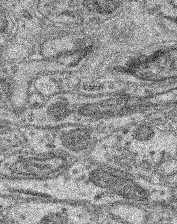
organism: Mouse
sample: Retina